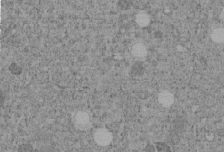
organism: C. elegans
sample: C. elegans embryo early stage